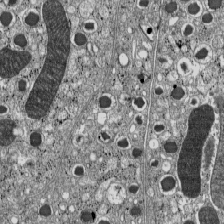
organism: C57BL Mouse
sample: Pancreatic islet